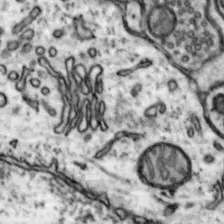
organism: Mouse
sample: Nucleus accumbens